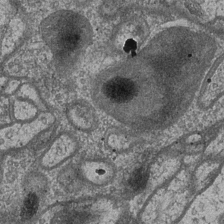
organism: Drosophila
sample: Optic medulla